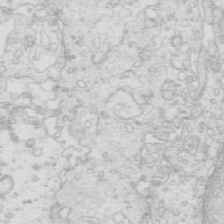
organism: Mouse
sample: Multiciliated cells